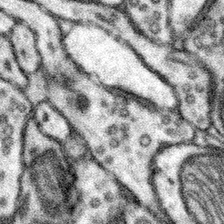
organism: Mouse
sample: Somatosensory cortex neuropil